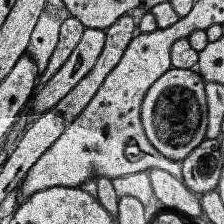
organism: Human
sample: Temporal Lobe